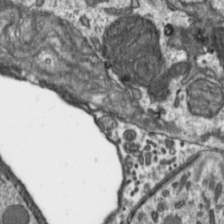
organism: Toxoplasma gondii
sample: Parasites in a vacuole inside a host cell